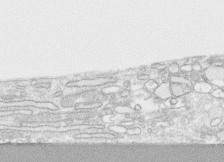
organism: Human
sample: CRL-1474